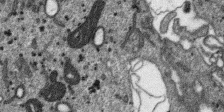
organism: Human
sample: Lung epithelial cells infected with SARS-CoV-2